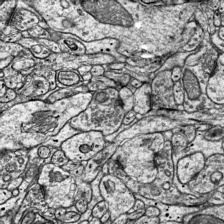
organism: Mouse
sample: Visual Cortex